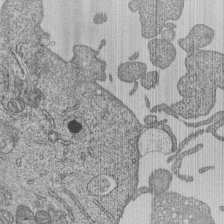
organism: Human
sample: MDA-MB-231 cells